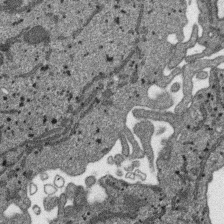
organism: Human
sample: Lung epithelial cells infected with SARS-CoV-2